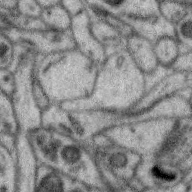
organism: Zebra finch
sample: Brain